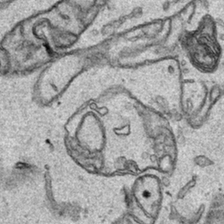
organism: Human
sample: Mitochondria in HCT116 cells